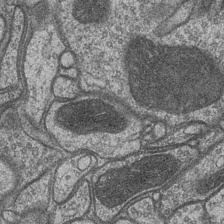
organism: Drosophila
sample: Optic medulla